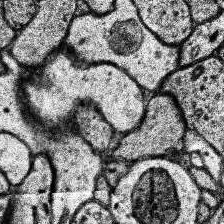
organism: Human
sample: Temporal Lobe